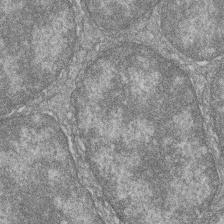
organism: Zebrafish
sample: Cilia; retinal pigment epithelium